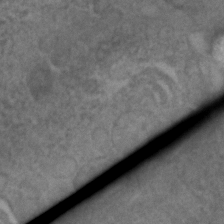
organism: C. elegans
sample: C. elegans embryo